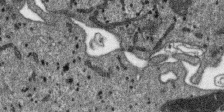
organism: Human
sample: Lung epithelial cells infected with SARS-CoV-2